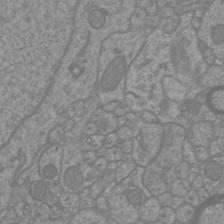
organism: Mouse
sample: Cortical neurons